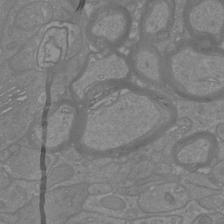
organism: Mouse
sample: Cortical neurons